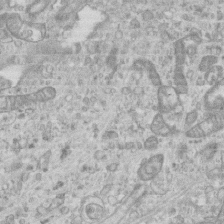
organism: Mouse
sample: Centriole in ependymal cells